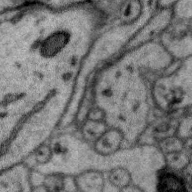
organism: Zebra finch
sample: Brain